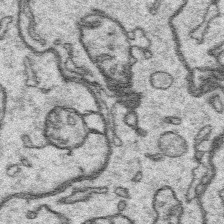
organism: Platynereis dumerilii